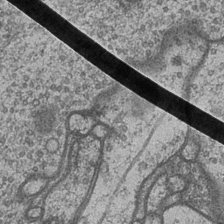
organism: Drosophila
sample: Optic medulla